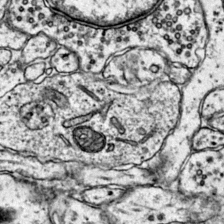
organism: Mouse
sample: Primary visual cortex